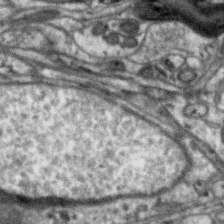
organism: Zebra finch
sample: Brain